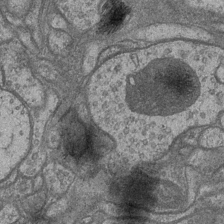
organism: Drosophila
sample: Optic medulla